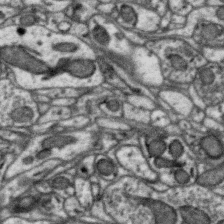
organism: Zebra finch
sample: Brain